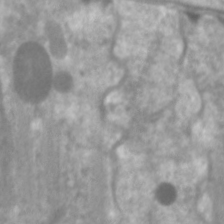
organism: C. elegans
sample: Pharynx